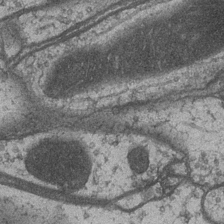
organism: Drosophila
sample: Optic medulla